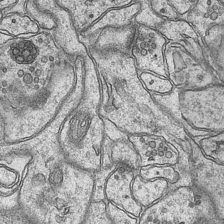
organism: Mouse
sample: CA1 Hippocampus